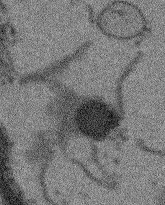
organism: Arabidopsis thaliana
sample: Root tip